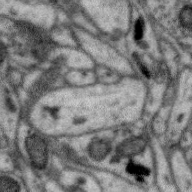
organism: Zebra finch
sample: Brain